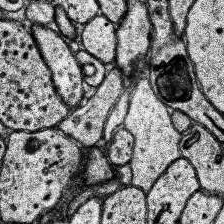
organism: Human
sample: Temporal Lobe